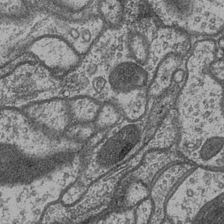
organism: Drosophila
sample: Optic medulla